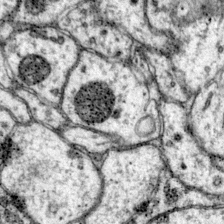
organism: Mouse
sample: Primary visual cortex